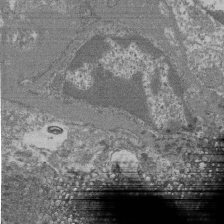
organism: Mouse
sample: Glomerulus